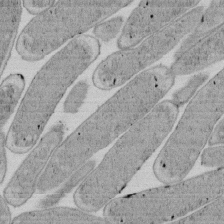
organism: E. coli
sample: Bacterial nucleoid